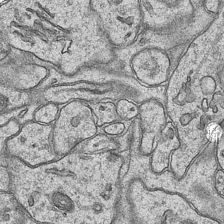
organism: Mouse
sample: CA1 Hippocampus